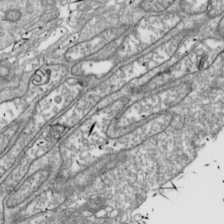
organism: Drosophila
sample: Cell division; meiosis; drosophila spermatocytes